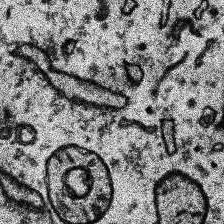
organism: Human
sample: Temporal Lobe